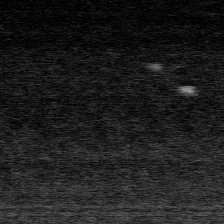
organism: Human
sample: HeLa cells